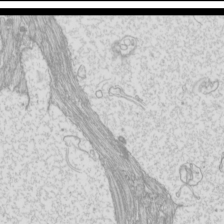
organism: Mouse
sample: Cilia; mouse epididymis